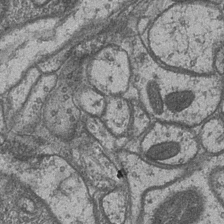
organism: Drosophila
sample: Optic medulla